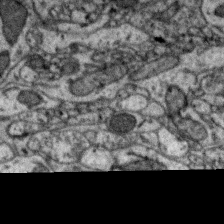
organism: Zebra finch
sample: Brain